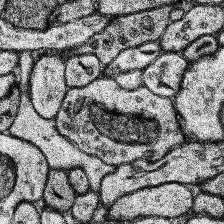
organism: Human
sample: Temporal Lobe